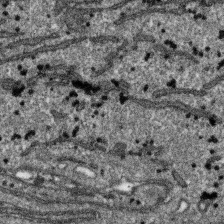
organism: Human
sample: Lung epithelial cells infected with SARS-CoV-2